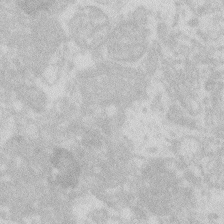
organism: Zebrafish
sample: Macrophage